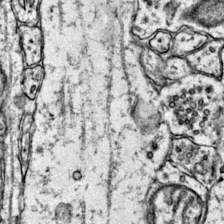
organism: Mouse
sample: Primary visual cortex